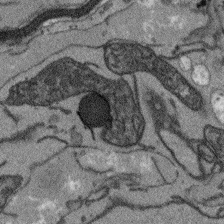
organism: Arabidopsis thaliana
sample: Root tip